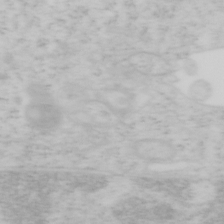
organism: Mouse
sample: OT-I killer T cells with ID8 ovarian cancer cells